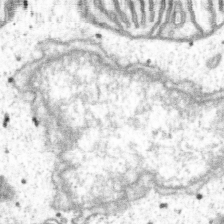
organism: Human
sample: HeLa cells